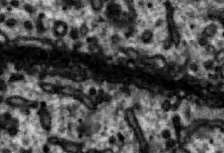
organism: Human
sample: HeLa cells